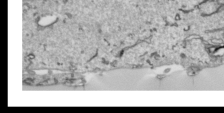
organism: Human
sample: Mitochondria in HCT116 cells